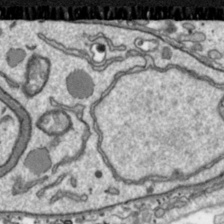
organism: Toxoplasma gondii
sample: Parasites in a vacuole inside a host cell